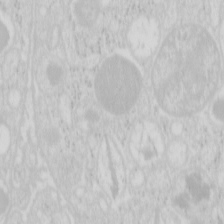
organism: Mouse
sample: Pancreas